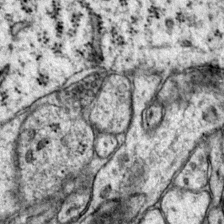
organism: Mouse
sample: Primary visual cortex